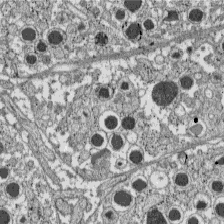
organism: C57BL Mouse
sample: Pancreatic islet